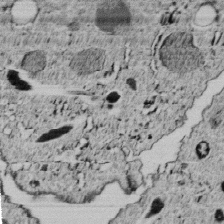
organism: C. elegans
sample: C. elegans embryo early stage